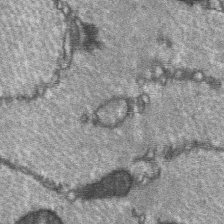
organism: C57BL Mouse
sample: Soleus